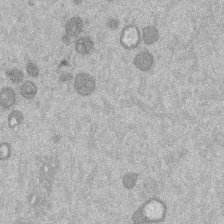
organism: Mouse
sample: Dividing mouse embryo 1 cell stage